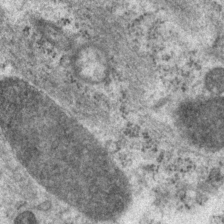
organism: P. pacificus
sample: Pharynx